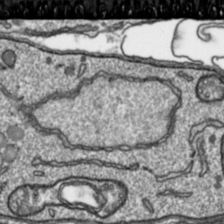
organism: Toxoplasma gondii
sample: Parasites in a vacuole inside a host cell